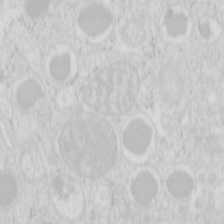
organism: Mouse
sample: Pancreas